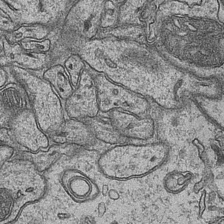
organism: Mouse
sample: CA1 Hippocampus